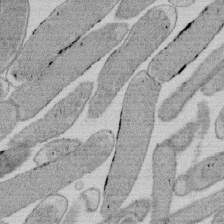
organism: E. coli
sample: Bacterial nucleoid